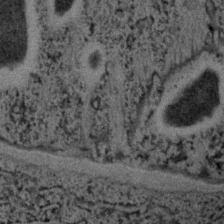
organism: C. elegans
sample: C. elegans embryo